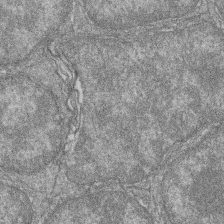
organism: Zebrafish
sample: Cilia; retinal pigment epithelium